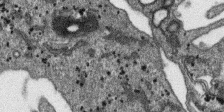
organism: Human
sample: Lung epithelial cells infected with SARS-CoV-2